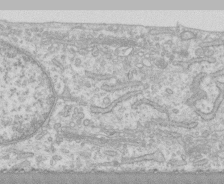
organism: Human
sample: CRL-1474